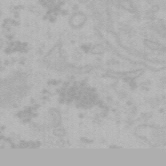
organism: Mouse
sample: Choroid plexus